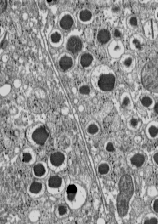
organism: C57BL Mouse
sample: Pancreatic islet